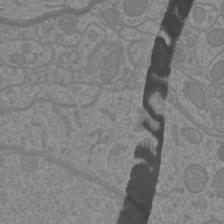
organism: Mouse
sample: Cortical neurons